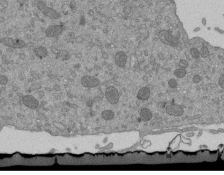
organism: Mouse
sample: ED-1 cell nuclei; centrioles